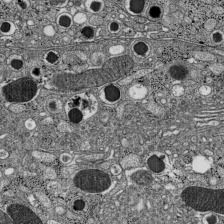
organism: C57BL Mouse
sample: Pancreatic islet